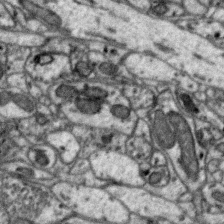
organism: Zebra finch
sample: Brain